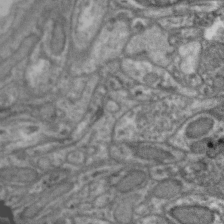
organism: Zebra finch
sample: Brain